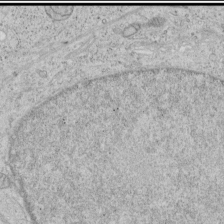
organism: Human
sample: Mitochondria in HCT116 cells